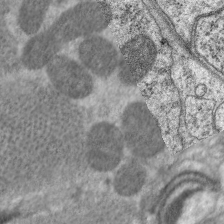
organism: C. elegans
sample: Pharynx